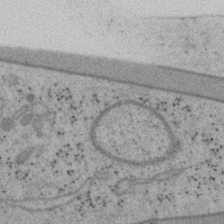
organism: Human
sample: HeLa cells